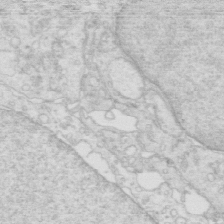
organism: Mouse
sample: Multiciliated cells